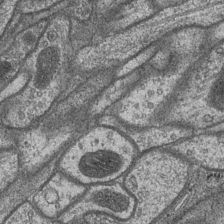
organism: Drosophila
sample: Optic medulla